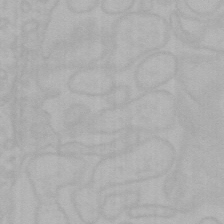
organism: Mouse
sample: Choroid plexus